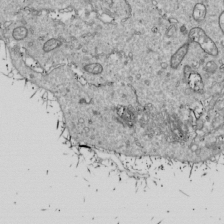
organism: Drosophila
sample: Cell division; meiosis; drosophila spermatocytes